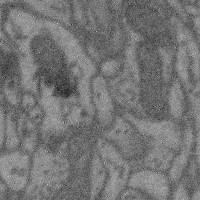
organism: Mouse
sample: Cerebral cortex